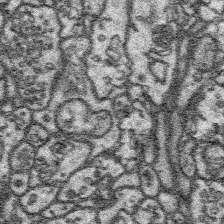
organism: Platynereis dumerilii